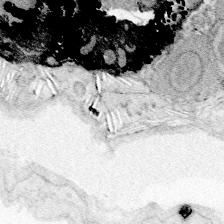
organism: Zebrafish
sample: Whole-Brain